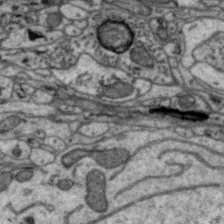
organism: Zebra finch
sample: Brain